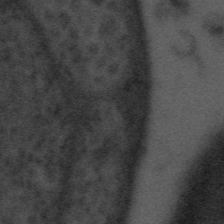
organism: Tuwongella immobilis